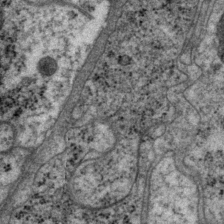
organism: P. pacificus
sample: Pharynx